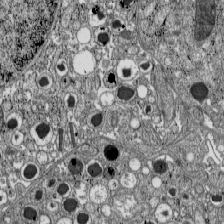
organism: C57BL Mouse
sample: Pancreatic islet